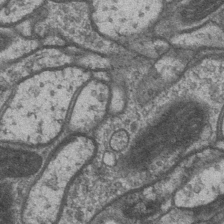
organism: Drosophila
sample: Optic medulla